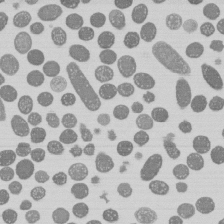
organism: E. coli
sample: Bacterial nucleoid